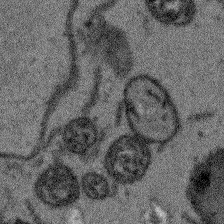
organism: Arabidopsis thaliana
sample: Root tip